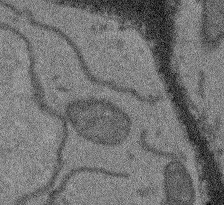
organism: Arabidopsis thaliana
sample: Root tip